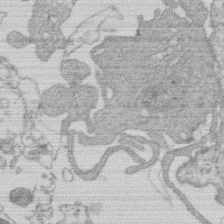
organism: Human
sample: Macrophage cells